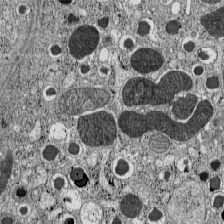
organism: C57BL Mouse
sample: Pancreatic islet